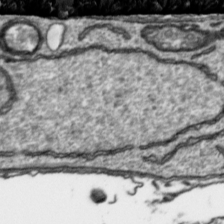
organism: Toxoplasma gondii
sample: Parasites in a vacuole inside a host cell